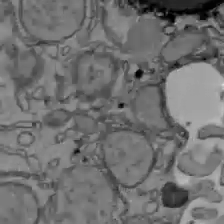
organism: C57BL Mouse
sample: Liver